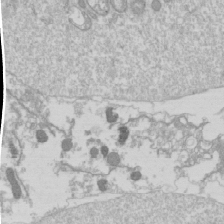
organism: Drosophila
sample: Cell division; meiosis; drosophila spermatocytes